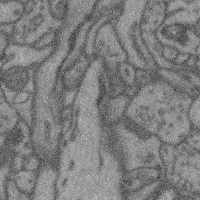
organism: Mouse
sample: Cerebral cortex